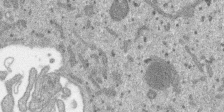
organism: Human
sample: Lung epithelial cells infected with SARS-CoV-2